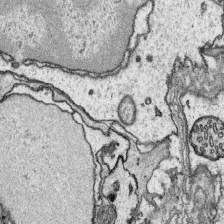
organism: Platynereis dumerilii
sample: Parapodia